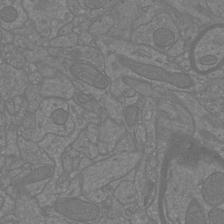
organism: Mouse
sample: Cortical neurons